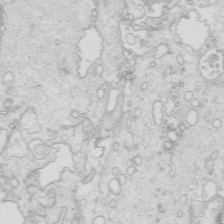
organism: Mouse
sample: Multiciliated cells